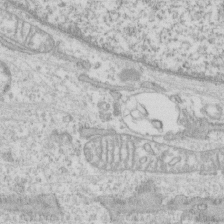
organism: Human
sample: CRL-1474